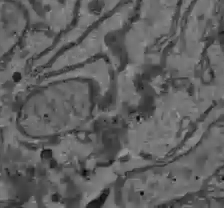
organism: C57BL Mouse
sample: Liver